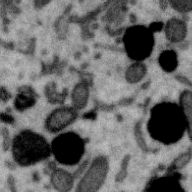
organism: Zebra finch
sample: Brain